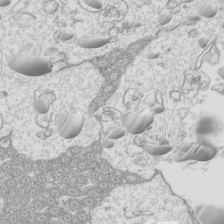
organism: Mouse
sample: Cilia; mouse epididymis